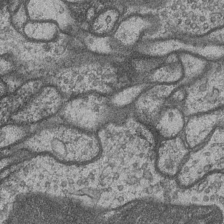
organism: Drosophila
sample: Optic medulla